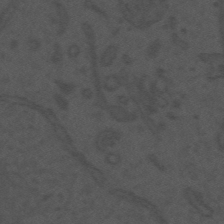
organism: Mouse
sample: Suprachiasmatic nucleus